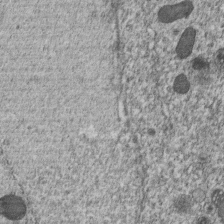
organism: C. elegans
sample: C. elegans embryo early stage